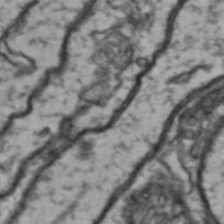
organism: Drosophila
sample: Brain